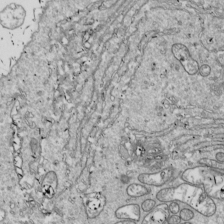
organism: Drosophila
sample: Cell division; meiosis; drosophila spermatocytes